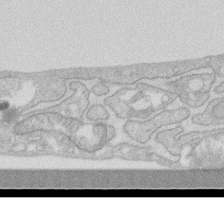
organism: Human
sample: Fibroblast cells